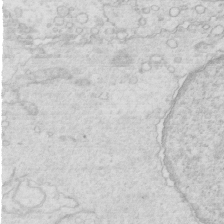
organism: Mouse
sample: Multiciliated cells